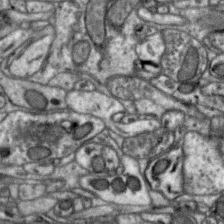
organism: Zebra finch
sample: Brain